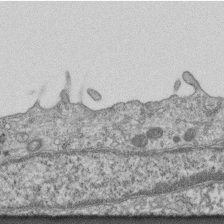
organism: Mouse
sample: Centriole in ependymal cells